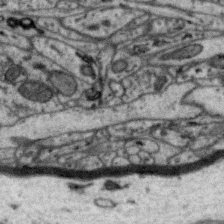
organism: Zebra finch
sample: Brain